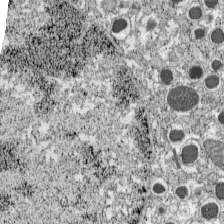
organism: C57BL Mouse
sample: Pancreatic islet